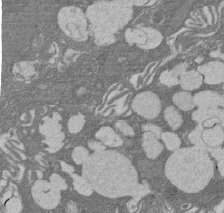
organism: Rat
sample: Salivary granule